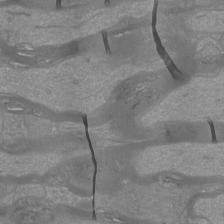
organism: Mouse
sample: Cortical neurons